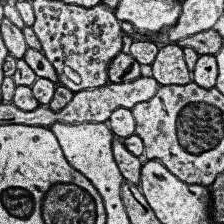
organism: Human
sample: Temporal Lobe